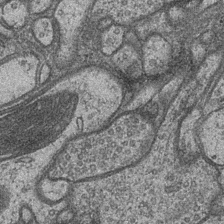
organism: Drosophila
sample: Optic medulla